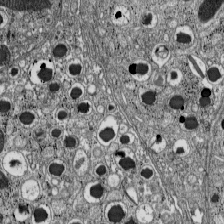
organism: C57BL Mouse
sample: Pancreatic islet